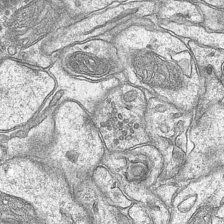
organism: Mouse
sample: CA1 Hippocampus